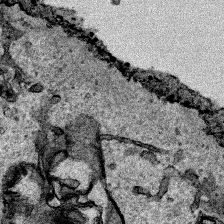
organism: Human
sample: Mitochondria in HCT116 cells